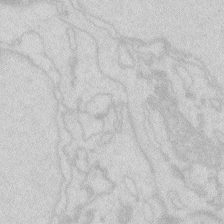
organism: Zebrafish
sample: Macrophage